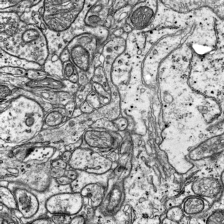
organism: Mouse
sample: Visual Cortex